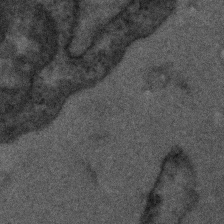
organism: Human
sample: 1205lu cells